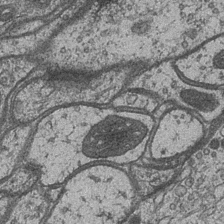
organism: Drosophila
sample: Optic medulla